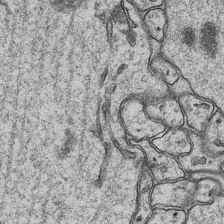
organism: Mouse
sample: CA1 Hippocampus